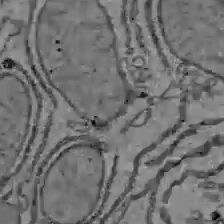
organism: C57BL Mouse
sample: Liver